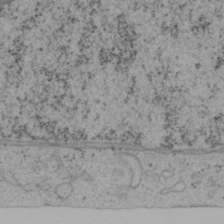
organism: Human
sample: HeLa cells